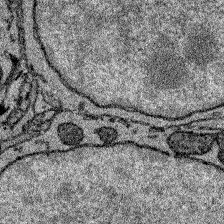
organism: Zebrafish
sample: Larval olfactory bulb